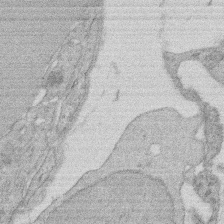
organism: Rat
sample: Salivary granule